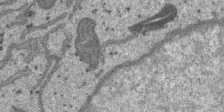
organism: Human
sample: Lung epithelial cells infected with SARS-CoV-2